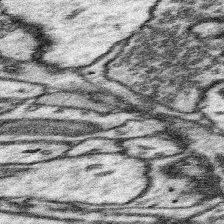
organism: Mouse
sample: Somatosensory cortex neuropil